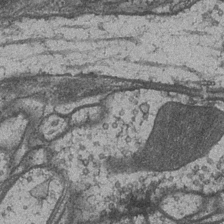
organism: Drosophila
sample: Optic medulla